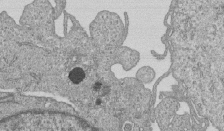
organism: Human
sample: MDA-MB-231 cells